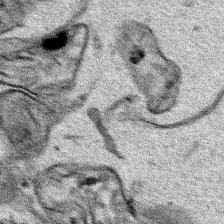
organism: Human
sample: Mitochondria in HCT116 cells